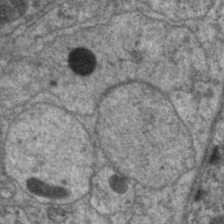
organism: C. elegans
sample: Pharynx